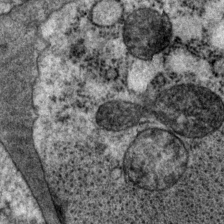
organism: P. pacificus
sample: Pharynx